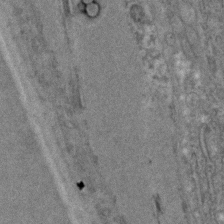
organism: C. elegans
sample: C. elegans embryo